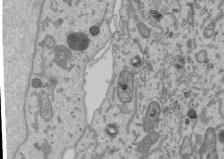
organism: Human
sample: Mitochondria in U2OS cells